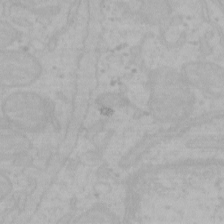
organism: Mouse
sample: Choroid plexus